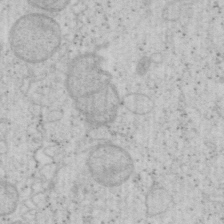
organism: Human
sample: HeLa cells